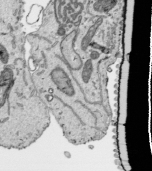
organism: Human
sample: Mitochondria in HCT116 cells